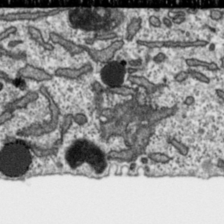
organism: Toxoplasma gondii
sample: Parasites in a vacuole inside a host cell